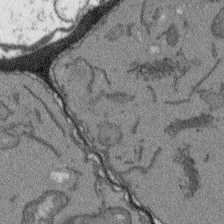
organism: Arabidopsis thaliana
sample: Root tip